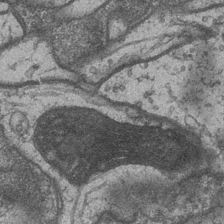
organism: Drosophila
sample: Optic medulla